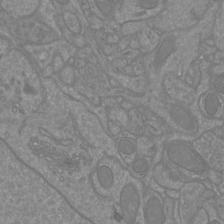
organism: Mouse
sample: Cortical neurons